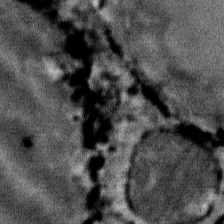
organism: Mouse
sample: Mouse Salivary gland